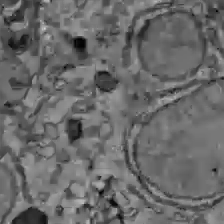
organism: C57BL Mouse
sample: Liver